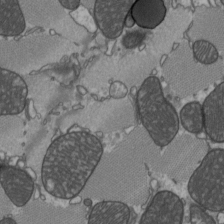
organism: C57BL Mouse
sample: Heart